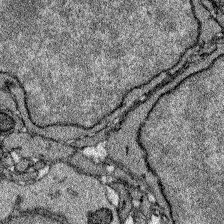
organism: Zebrafish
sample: Larval olfactory bulb